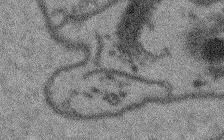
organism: Arabidopsis thaliana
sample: Root tip